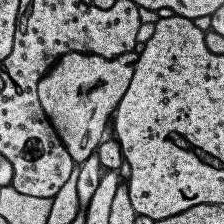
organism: Human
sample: Temporal Lobe